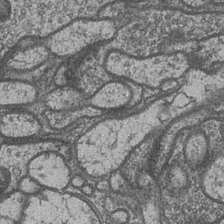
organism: Drosophila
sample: Optic medulla